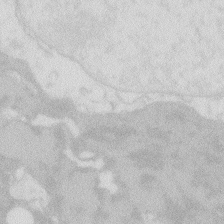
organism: Zebrafish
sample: Macrophage